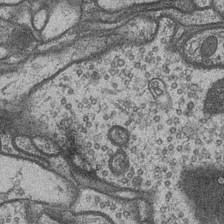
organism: Drosophila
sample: Optic medulla